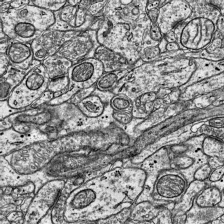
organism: Mouse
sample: Visual Cortex